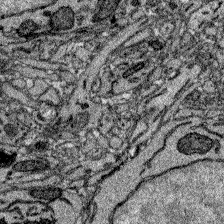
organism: Zebrafish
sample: Larval olfactory bulb